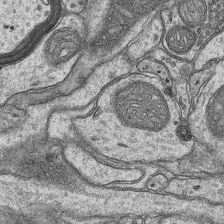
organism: Mouse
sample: CA1 Hippocampus